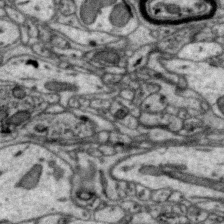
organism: Zebra finch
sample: Brain